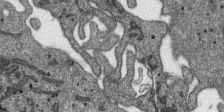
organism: Human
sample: Lung epithelial cells infected with SARS-CoV-2